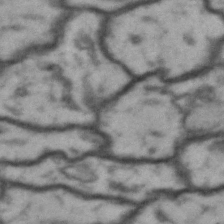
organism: Drosophila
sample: Brain